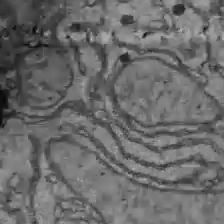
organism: C57BL Mouse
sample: Liver